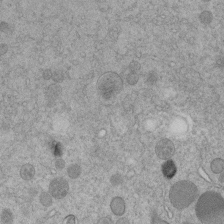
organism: C. elegans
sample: C. elegans embryo early stage